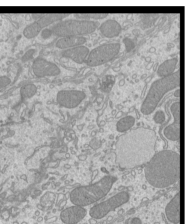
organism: Mouse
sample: Cilia; mouse epididymis